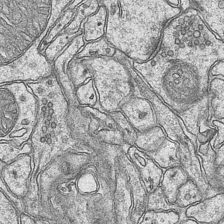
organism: Mouse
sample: CA1 Hippocampus